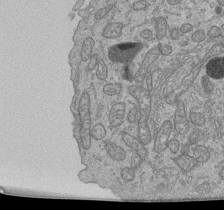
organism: Human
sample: Retinal organoid Rod and Cone cells